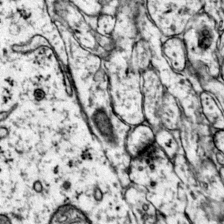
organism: Mouse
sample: Primary visual cortex